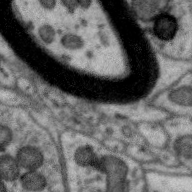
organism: Zebra finch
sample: Brain